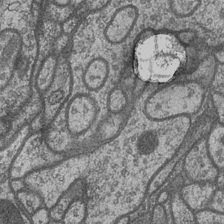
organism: Drosophila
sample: Optic medulla